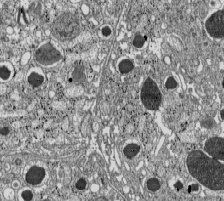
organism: C57BL Mouse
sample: Pancreatic islet